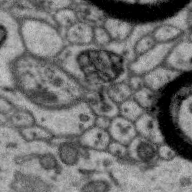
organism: Zebra finch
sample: Brain